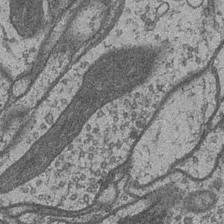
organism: Drosophila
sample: Optic medulla